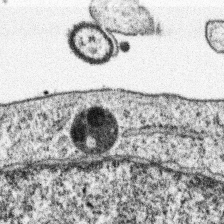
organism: Human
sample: HeLa cells